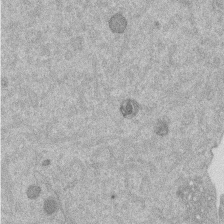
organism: Mouse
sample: Dividing mouse embryo 1 cell stage